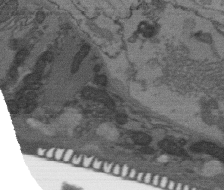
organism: C. elegans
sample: AFD neurons C. elegans